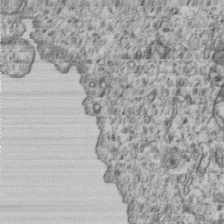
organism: Human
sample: MDA-MB-231 cells